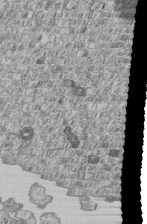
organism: Human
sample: MDA-MB-231 cells